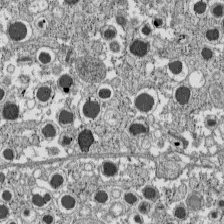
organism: C57BL Mouse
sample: Pancreatic islet